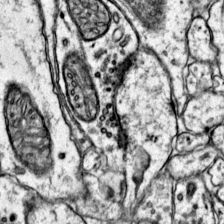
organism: Mouse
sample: Primary visual cortex